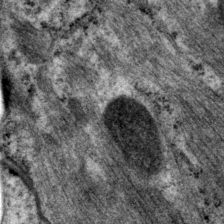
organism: P. pacificus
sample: Pharynx